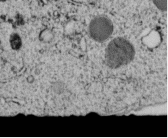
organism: C. elegans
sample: C. elegans embryo early stage